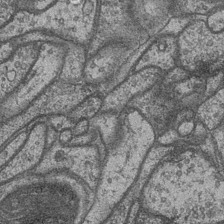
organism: Drosophila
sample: Optic medulla